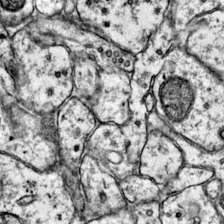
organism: Mouse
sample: Primary visual cortex